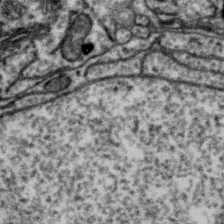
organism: Zebra finch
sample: Brain